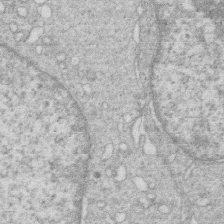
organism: Human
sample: Macrophage cells